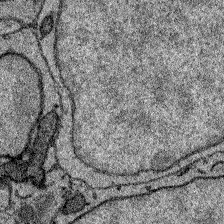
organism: Zebrafish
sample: Larval olfactory bulb